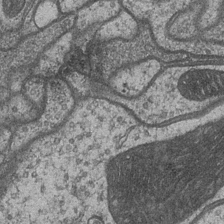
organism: Drosophila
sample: Optic medulla